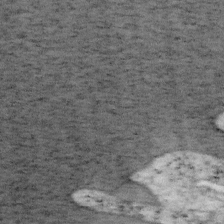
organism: Mouse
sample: OT-I killer T cells with ID8 ovarian cancer cells